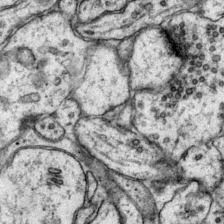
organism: Mouse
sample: Primary visual cortex